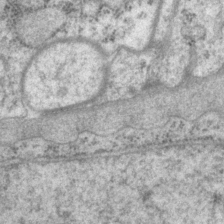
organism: P. pacificus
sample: Pharynx